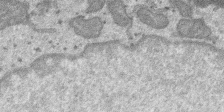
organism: Human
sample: Lung epithelial cells infected with SARS-CoV-2